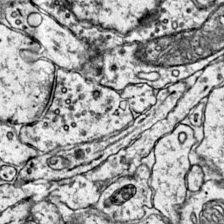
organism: Mouse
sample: Primary visual cortex